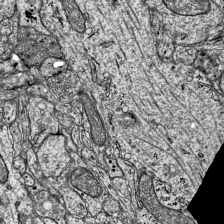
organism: Mouse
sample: Visual Cortex